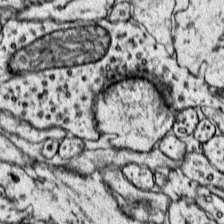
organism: Mouse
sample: Primary visual cortex